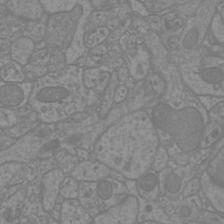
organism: Mouse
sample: Cortical neurons